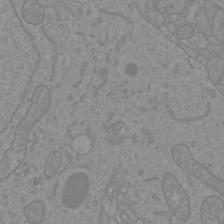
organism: Mouse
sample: Cortical neurons